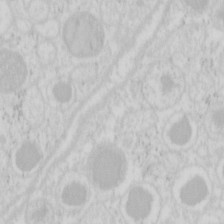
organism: Mouse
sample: Pancreas